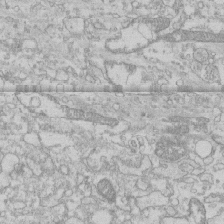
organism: Human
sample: CRL-1474